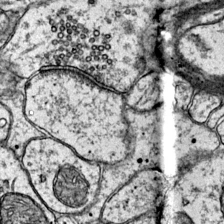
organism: Mouse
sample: Primary visual cortex